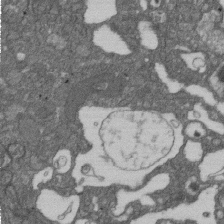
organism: Drosophila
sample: Nephrocyte